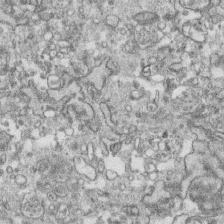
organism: Human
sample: CRL-1474